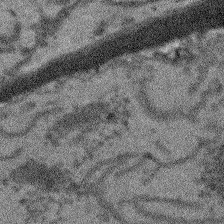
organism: Arabidopsis thaliana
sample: Root tip